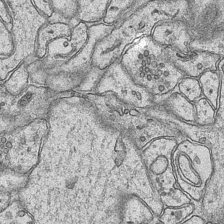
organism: Mouse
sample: CA1 Hippocampus